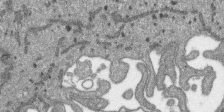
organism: Human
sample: Lung epithelial cells infected with SARS-CoV-2